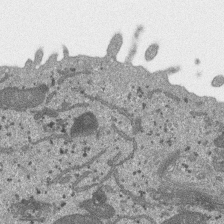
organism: Human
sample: Lung epithelial cells infected with SARS-CoV-2